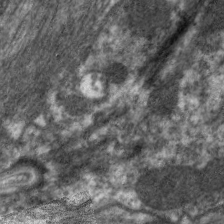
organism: C. elegans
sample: Pharynx